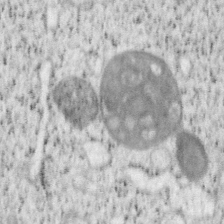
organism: Mouse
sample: OT-I killer T cells with ID8 ovarian cancer cells